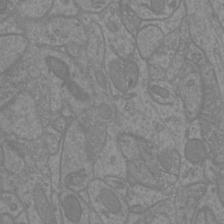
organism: Mouse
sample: Cortical neurons